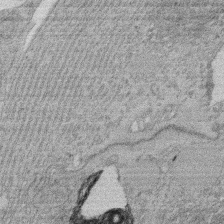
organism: Rat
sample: Salivary granule